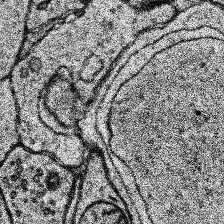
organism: Human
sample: Temporal Lobe